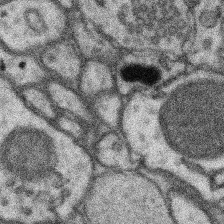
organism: Mouse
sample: Somatosensory cortex neuropil